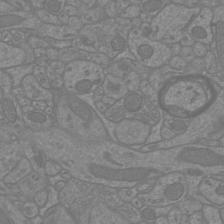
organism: Mouse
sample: Cortical neurons